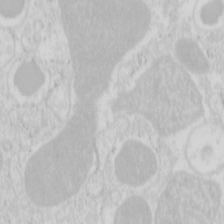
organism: Mouse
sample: Pancreas